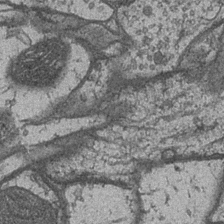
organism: Drosophila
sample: Optic medulla